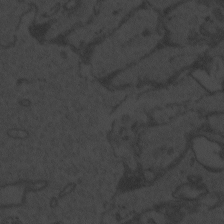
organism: Zebrafish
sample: Macrophage infected with Toxoplasma gondii